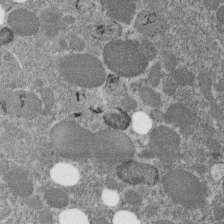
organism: C. elegans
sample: C. elegans embryo early stage